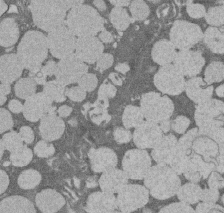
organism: Rat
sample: Salivary granule